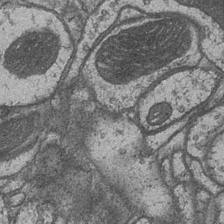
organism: Drosophila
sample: Optic medulla